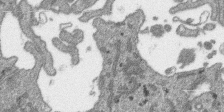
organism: Human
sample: Lung epithelial cells infected with SARS-CoV-2